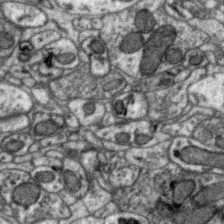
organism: Zebra finch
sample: Brain